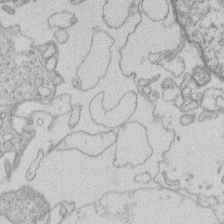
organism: Human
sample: Macrophage cells